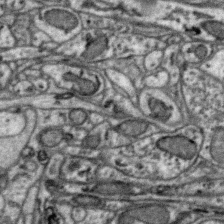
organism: Zebra finch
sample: Brain